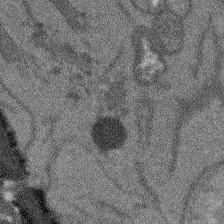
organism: Arabidopsis thaliana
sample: Root tip